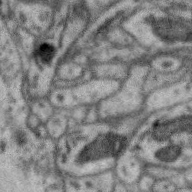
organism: Zebra finch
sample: Brain